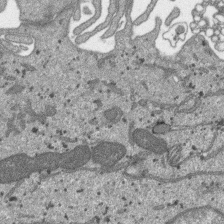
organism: Human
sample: Lung epithelial cells infected with SARS-CoV-2